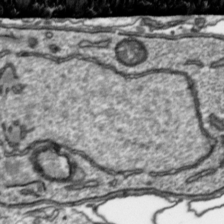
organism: Toxoplasma gondii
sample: Parasites in a vacuole inside a host cell